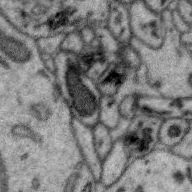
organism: Zebra finch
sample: Brain